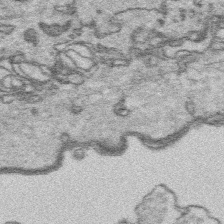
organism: Platynereis dumerilii